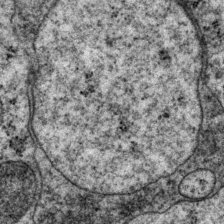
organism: P. pacificus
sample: Pharynx